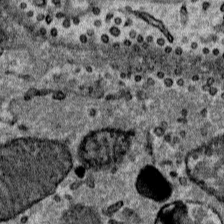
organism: Mouse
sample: Mouse Salivary gland